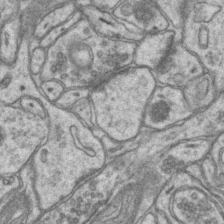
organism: Mouse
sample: CA1 Hippocampus